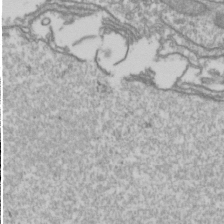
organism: Drosophila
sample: Cell division; meiosis; drosophila spermatocytes